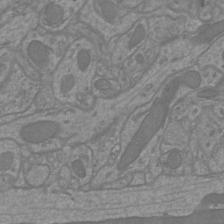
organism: Mouse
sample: Cortical neurons